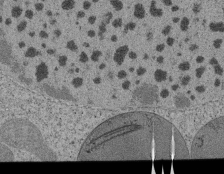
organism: Tetrahymena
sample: Cilia in tetrahymena